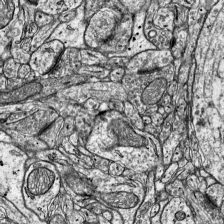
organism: Mouse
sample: Visual Cortex